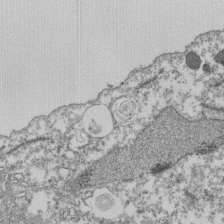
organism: Dictyostelium discoideum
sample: Dictyostelium multivesicular bodies